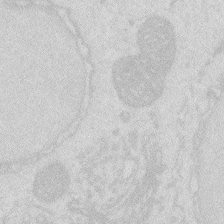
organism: Zebrafish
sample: Macrophage